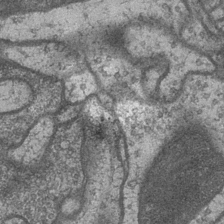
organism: Drosophila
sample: Optic medulla